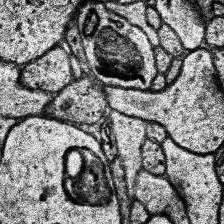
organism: Human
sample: Temporal Lobe